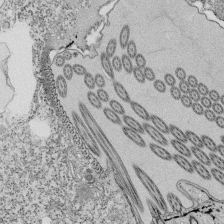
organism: Tetrahymena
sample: Cilia in tetrahymena